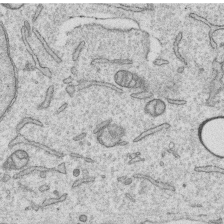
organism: Human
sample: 1205lu cells